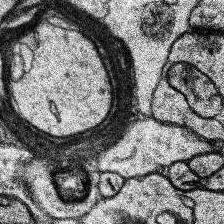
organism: Human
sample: Temporal Lobe